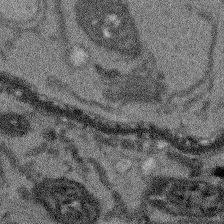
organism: Arabidopsis thaliana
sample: Root tip